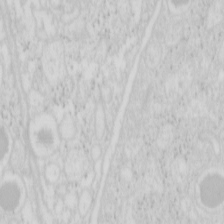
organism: Mouse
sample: Pancreas